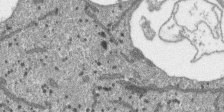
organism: Human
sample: Lung epithelial cells infected with SARS-CoV-2